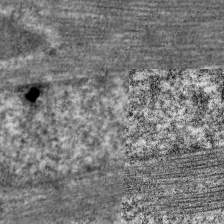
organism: C. elegans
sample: Pharynx